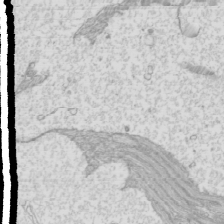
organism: Mouse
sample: Cilia; mouse epididymis